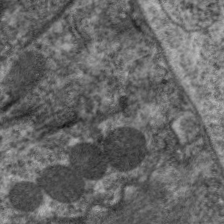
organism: C. elegans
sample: Pharynx